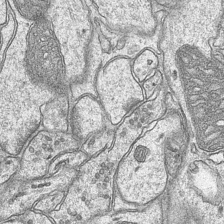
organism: Mouse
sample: CA1 Hippocampus